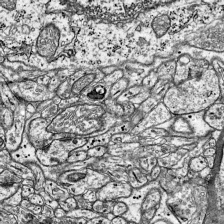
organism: Mouse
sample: Visual Cortex